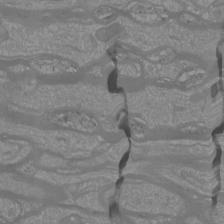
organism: Mouse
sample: Cortical neurons